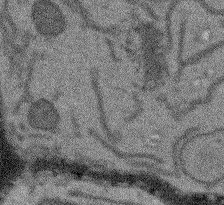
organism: Arabidopsis thaliana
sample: Root tip